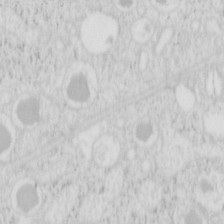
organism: Mouse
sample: Pancreas